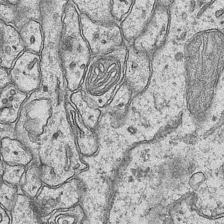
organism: Mouse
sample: CA1 Hippocampus